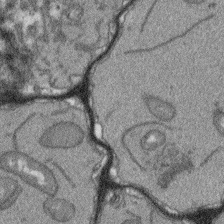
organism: Arabidopsis thaliana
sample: Root tip